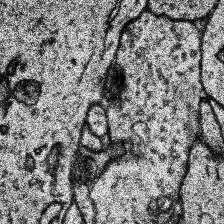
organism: Human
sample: Temporal Lobe